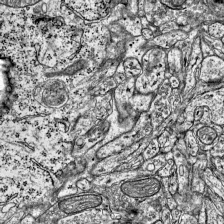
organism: Mouse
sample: Visual Cortex